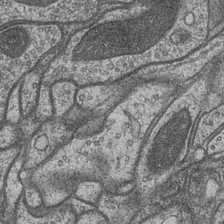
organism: Drosophila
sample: Optic medulla